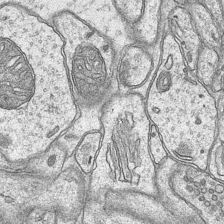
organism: Mouse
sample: CA1 Hippocampus